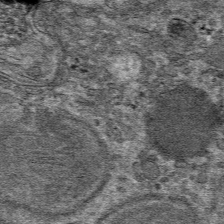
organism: Mouse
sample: Mouse hepatocytes